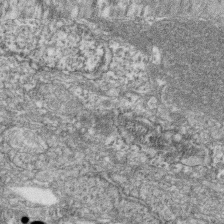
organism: Zebrafish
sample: Cilia; retinal pigment epithelium